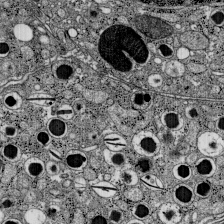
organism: C57BL Mouse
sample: Pancreatic islet